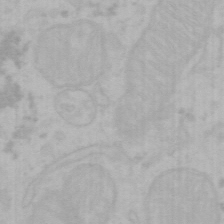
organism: Mouse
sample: Choroid plexus